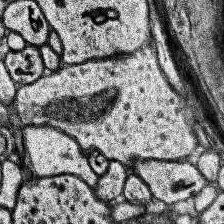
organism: Human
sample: Temporal Lobe